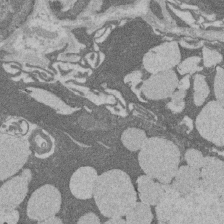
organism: Rat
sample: Salivary granule